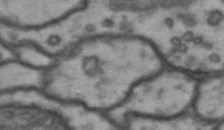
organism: Drosophila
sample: Brain